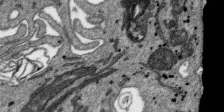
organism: Human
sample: Lung epithelial cells, uninfected (mock) control